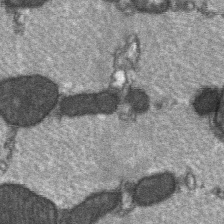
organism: C57BL Mouse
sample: Soleus